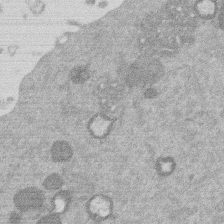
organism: Mouse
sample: Dividing mouse embryo 1 cell stage